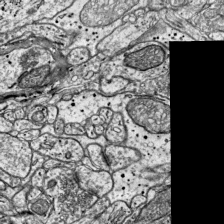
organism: Mouse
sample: Visual Cortex